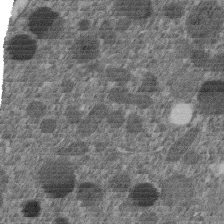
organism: C. elegans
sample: C. elegans embryo early stage